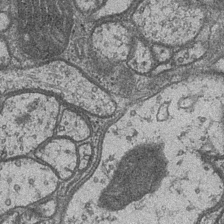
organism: Drosophila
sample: Optic medulla